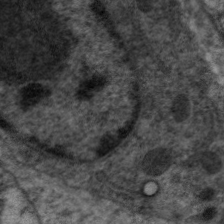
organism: C. elegans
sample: Pharynx